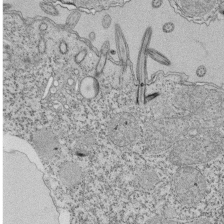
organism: Tetrahymena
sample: Cilia in tetrahymena